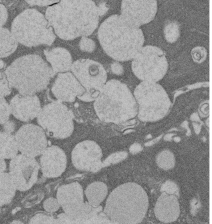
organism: Rat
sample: Salivary granule